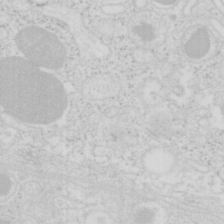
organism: Mouse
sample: Pancreas